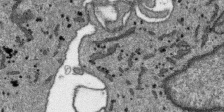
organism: Human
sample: Lung epithelial cells, uninfected (mock) control